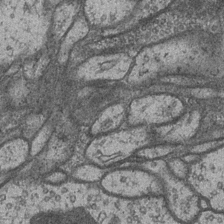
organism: Drosophila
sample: Optic medulla